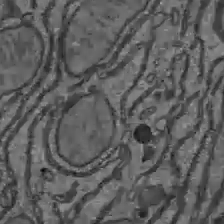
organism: C57BL Mouse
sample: Liver